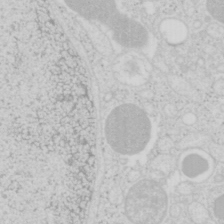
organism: Mouse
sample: Pancreas